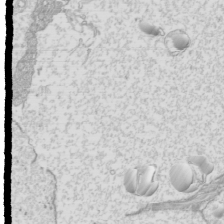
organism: Mouse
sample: Cilia; mouse epididymis